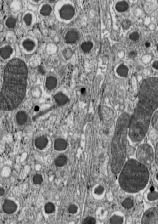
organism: C57BL Mouse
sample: Pancreatic islet